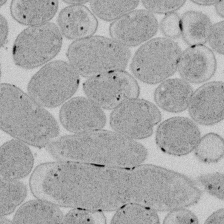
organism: E. coli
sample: Bacterial nucleoid